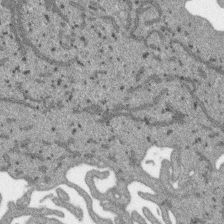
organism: Human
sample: Lung epithelial cells infected with SARS-CoV-2